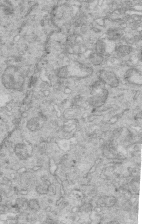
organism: Mouse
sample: Multiciliated cells